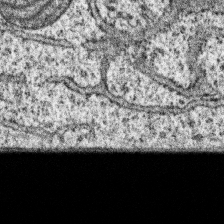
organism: Human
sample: HeLa cells